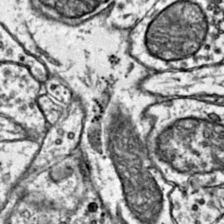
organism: Mouse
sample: Primary visual cortex